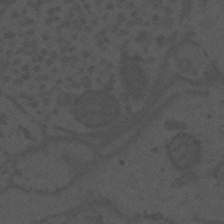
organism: Mouse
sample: Suprachiasmatic nucleus